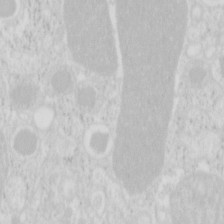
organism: Mouse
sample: Pancreas